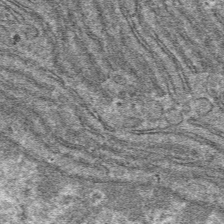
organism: Mouse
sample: Mouse hepatocytes